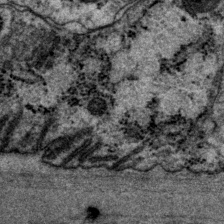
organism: P. pacificus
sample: Pharynx